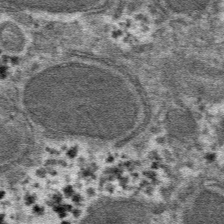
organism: Mouse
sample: Mouse hepatocytes